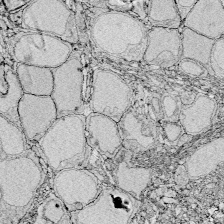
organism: Zebrafish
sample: Whole-Brain